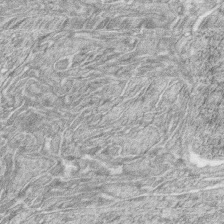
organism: Zebrafish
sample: synaptic ribbons in rod cells and cone cells